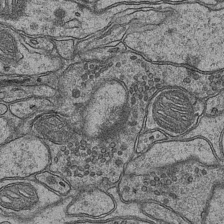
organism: Mouse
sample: CA1 Hippocampus